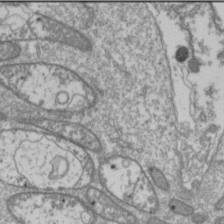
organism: Drosophila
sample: Cell division; meiosis; drosophila spermatocytes